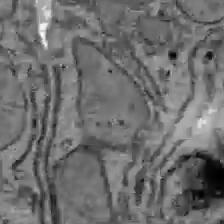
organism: C57BL Mouse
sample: Liver